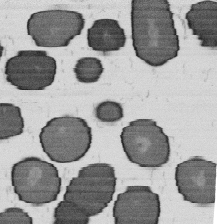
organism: B. subtilis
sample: Bacterial spore